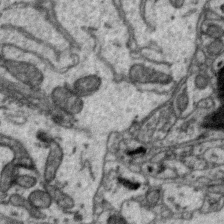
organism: Zebra finch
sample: Brain